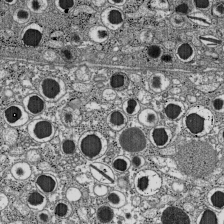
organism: C57BL Mouse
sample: Pancreatic islet